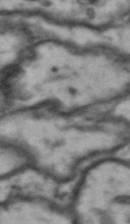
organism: Drosophila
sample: Brain